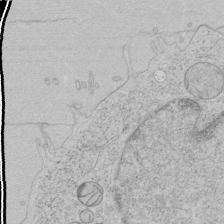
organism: Human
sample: Mitochondria in HCT116 cells